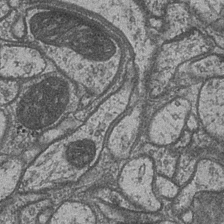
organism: Drosophila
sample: Optic medulla